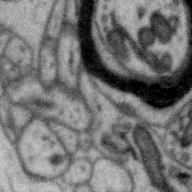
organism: Zebra finch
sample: Brain